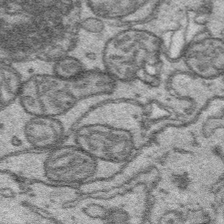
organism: Platynereis dumerilii